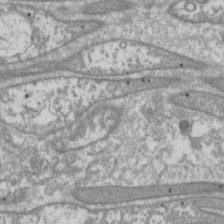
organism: Drosophila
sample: Cell division; meiosis; drosophila spermatocytes